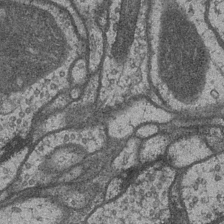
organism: Drosophila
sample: Optic medulla